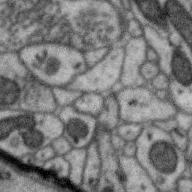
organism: Zebra finch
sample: Brain